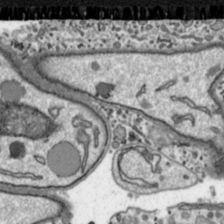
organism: Toxoplasma gondii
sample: Parasites in a vacuole inside a host cell